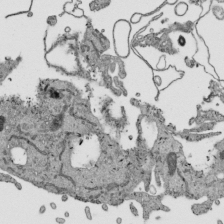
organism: Human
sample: Mitochondria in HCT116 cells